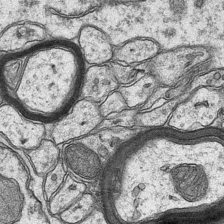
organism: Mouse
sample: CA1 Hippocampus